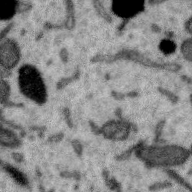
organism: Zebra finch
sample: Brain